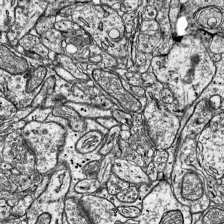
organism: Mouse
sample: Visual Cortex